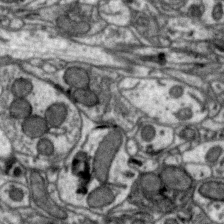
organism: Zebra finch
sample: Brain